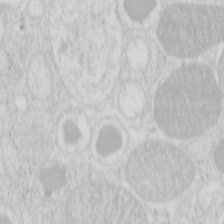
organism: Mouse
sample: Pancreas